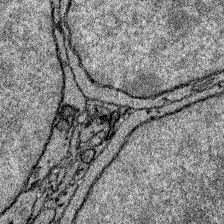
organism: Zebrafish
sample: Larval olfactory bulb